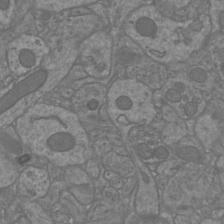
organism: Mouse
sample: Cortical neurons